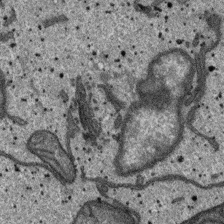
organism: Human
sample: Lung epithelial cells, uninfected (mock) control